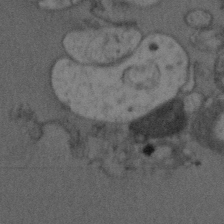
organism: Human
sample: HeLa cells